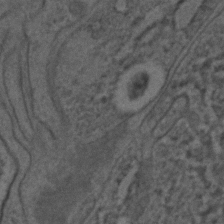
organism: C. elegans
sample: C. elegans embryo